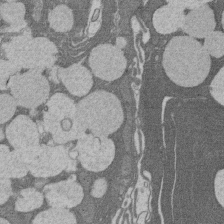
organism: Rat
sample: Salivary granule